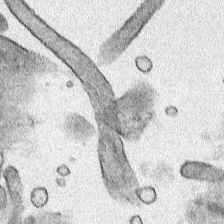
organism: Human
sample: Mitochondria in HCT116 cells